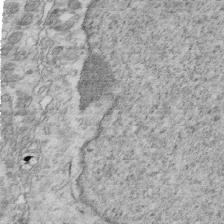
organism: Mouse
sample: Multiciliated cells